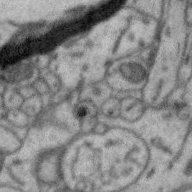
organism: Zebra finch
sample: Brain